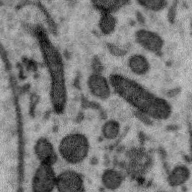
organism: Zebra finch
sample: Brain